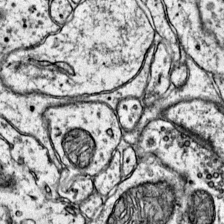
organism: Mouse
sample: Primary visual cortex